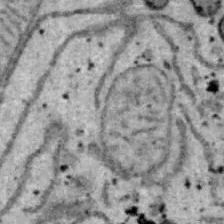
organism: Mouse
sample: Liver from an obese (ob/ob) mouse